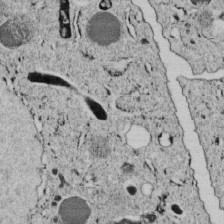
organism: C. elegans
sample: C. elegans embryo early stage